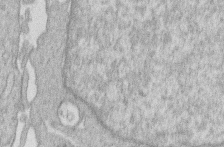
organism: Human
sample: Macrophage cells